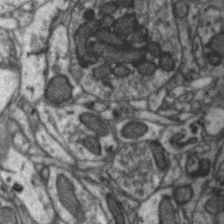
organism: Zebra finch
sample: Brain